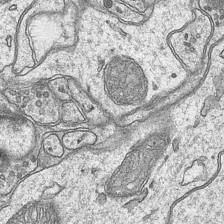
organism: Mouse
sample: CA1 Hippocampus